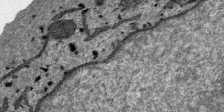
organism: Human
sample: Lung epithelial cells, uninfected (mock) control